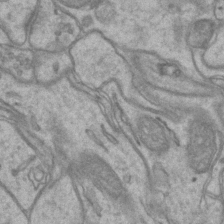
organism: Mouse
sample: CA1 Hippocampus